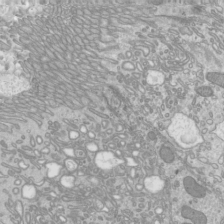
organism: Mouse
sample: Cilia; mouse epididymis